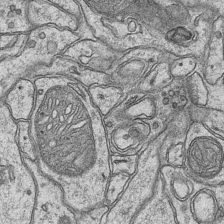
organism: Mouse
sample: CA1 Hippocampus